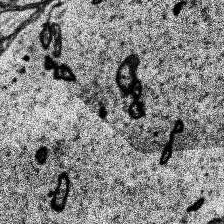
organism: Human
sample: Temporal Lobe